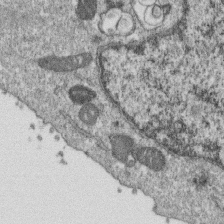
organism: African green monkey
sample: Vero E6 cells infected with SARS-CoV-2